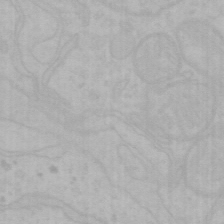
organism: Mouse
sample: Choroid plexus